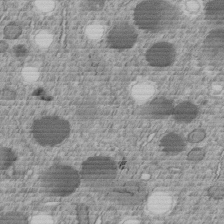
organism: C. elegans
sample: C. elegans embryo early stage